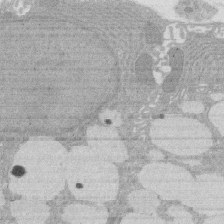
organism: Rat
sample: Salivary granule